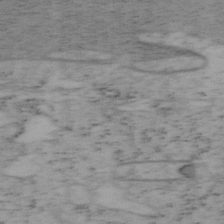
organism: Mouse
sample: OT-I killer T cells with ID8 ovarian cancer cells